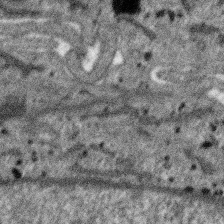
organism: Human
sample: Lung epithelial cells infected with SARS-CoV-2